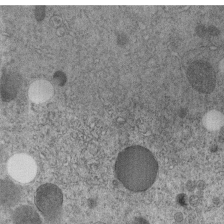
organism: C. elegans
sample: C. elegans embryo early stage